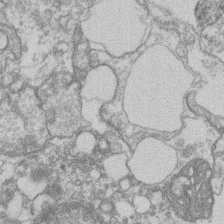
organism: Mouse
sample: T cell stromal cell synapse